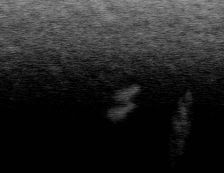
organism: Human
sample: HeLa cells